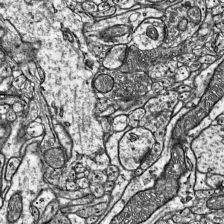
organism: Mouse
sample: Visual Cortex